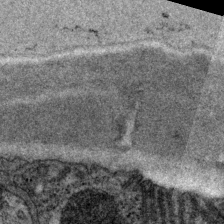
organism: P. pacificus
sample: Pharynx